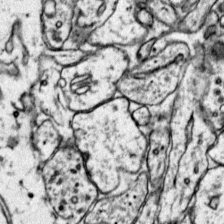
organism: Mouse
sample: Primary visual cortex